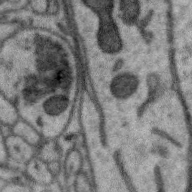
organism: Zebra finch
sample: Brain